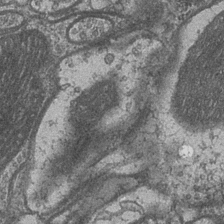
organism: Drosophila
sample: Optic medulla